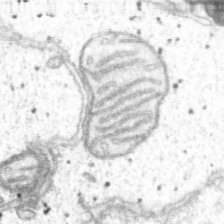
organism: Human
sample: HeLa cells